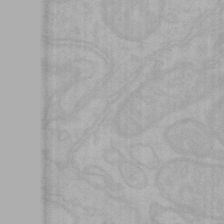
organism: Mouse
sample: Choroid plexus